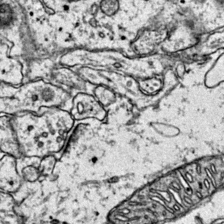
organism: Mouse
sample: Primary visual cortex